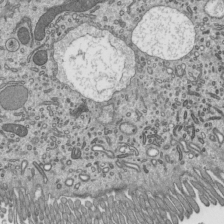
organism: Mouse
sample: Mouse epididymis efferent ductule cilia